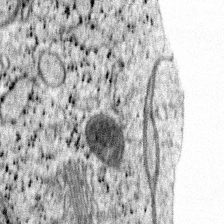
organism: Human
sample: HeLa cells